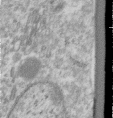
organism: Human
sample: Centriole in RPE cells